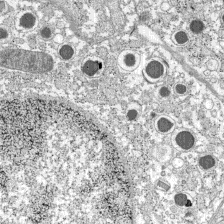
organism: C57BL Mouse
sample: Pancreatic islet